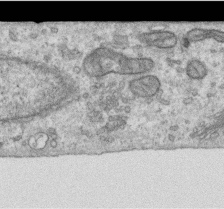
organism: Human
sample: Centriole in RPE cells